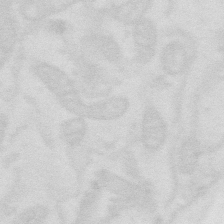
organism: Human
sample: HeLa cells